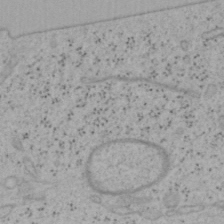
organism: Human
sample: HeLa cells